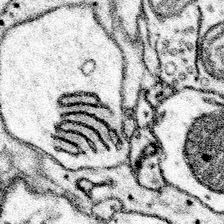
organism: Mouse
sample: Somatosensory cortex neuropil